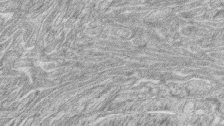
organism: Zebrafish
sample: synaptic ribbons in rod cells and cone cells